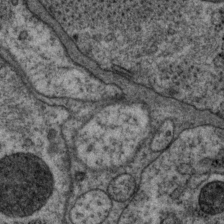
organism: P. pacificus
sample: Pharynx